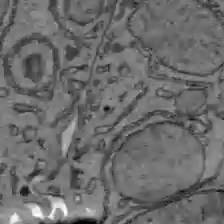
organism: C57BL Mouse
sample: Liver